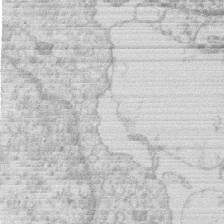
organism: Human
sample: Macrophage cells